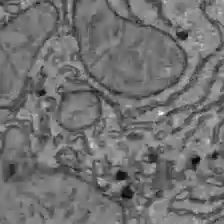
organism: C57BL Mouse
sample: Liver